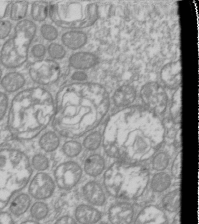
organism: Drosophila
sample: Cell division; meiosis; drosophila spermatocytes